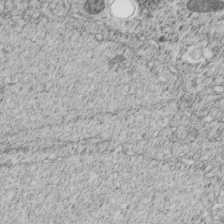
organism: C. elegans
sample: C. elegans embryo early stage